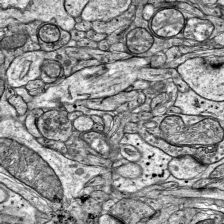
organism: Mouse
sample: Visual Cortex